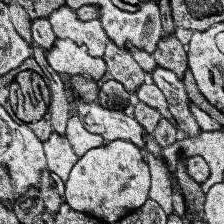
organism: Human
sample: Temporal Lobe